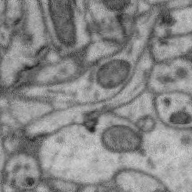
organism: Zebra finch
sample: Brain